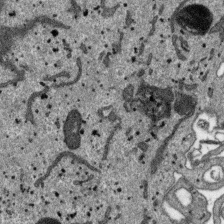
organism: Human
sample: Lung epithelial cells, uninfected (mock) control